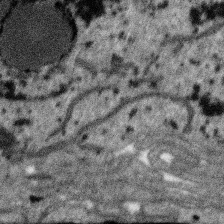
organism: Human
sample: Lung epithelial cells infected with SARS-CoV-2